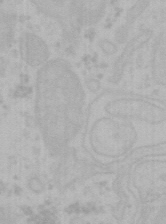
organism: Mouse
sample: Choroid plexus